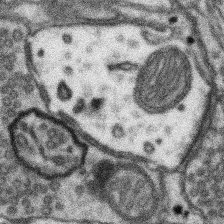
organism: Mouse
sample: Somatosensory cortex neuropil